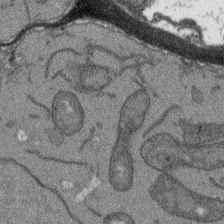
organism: Arabidopsis thaliana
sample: Root tip